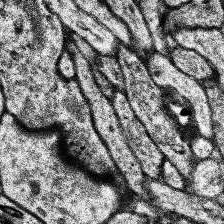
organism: Human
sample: Temporal Lobe